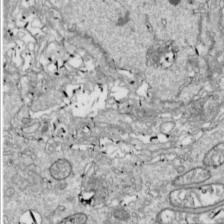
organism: Drosophila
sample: Cell division; meiosis; drosophila spermatocytes